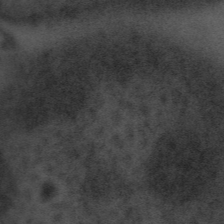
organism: Tuwongella immobilis